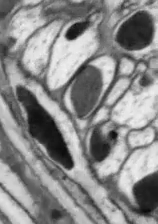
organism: Drosophila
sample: Optic lobe